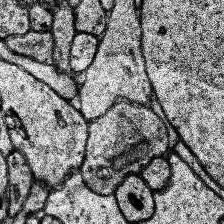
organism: Human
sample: Temporal Lobe